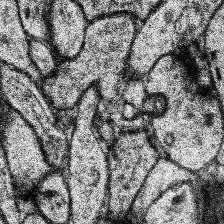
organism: Human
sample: Temporal Lobe